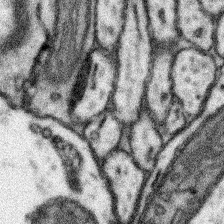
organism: Mouse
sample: Somatosensory cortex neuropil